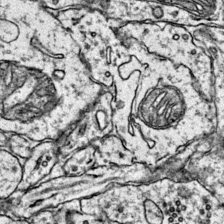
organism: Mouse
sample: Primary visual cortex